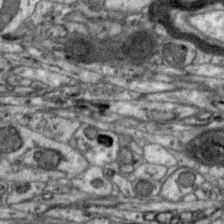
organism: Zebra finch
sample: Brain